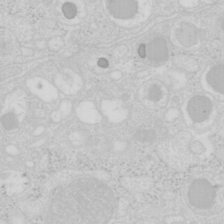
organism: Mouse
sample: Pancreas